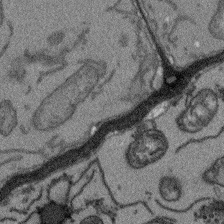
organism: Arabidopsis thaliana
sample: Root tip